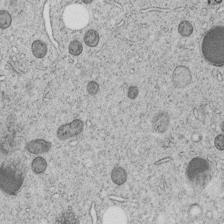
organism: C. elegans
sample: C. elegans embryo early stage